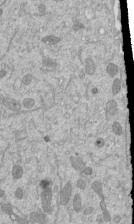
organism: Mouse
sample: ED-1 cell nuclei; centrioles